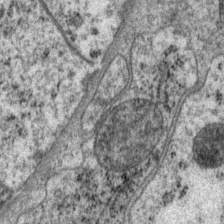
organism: P. pacificus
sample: Pharynx